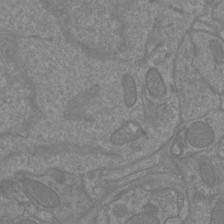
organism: Mouse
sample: Cortical neurons